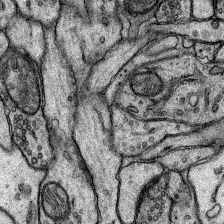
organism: Rat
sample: Hippocampus